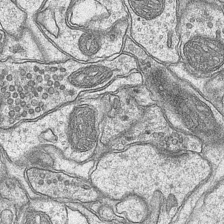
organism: Mouse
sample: CA1 Hippocampus